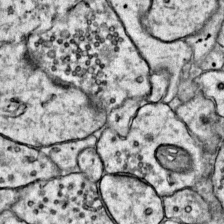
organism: Mouse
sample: Primary visual cortex